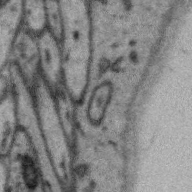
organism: Zebra finch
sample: Brain